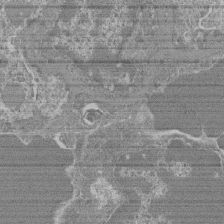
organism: Mouse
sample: Glomerulus